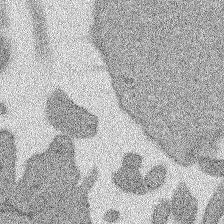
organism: Human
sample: HeLa cells